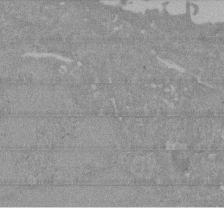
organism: Mouse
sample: ED-1 cell nuclei; centrioles